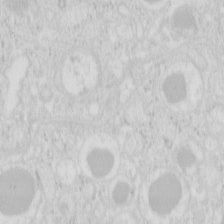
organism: Mouse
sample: Pancreas